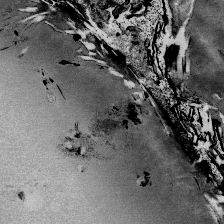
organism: Mouse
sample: Mouse Salivary gland